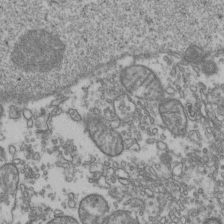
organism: Human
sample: Activated Jurkat CD4+ T cells